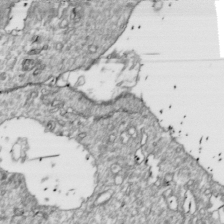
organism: Drosophila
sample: Cell division; meiosis; drosophila spermatocytes